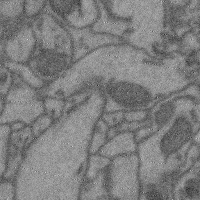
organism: Mouse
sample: Cerebral cortex